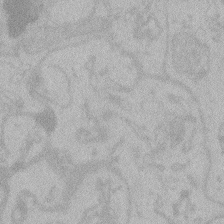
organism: Zebrafish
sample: Macrophage infected with Toxoplasma gondii